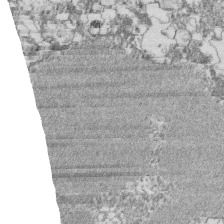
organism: Human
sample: HeLa cell HIV synapse